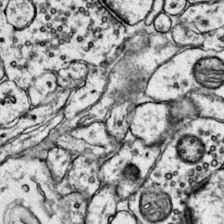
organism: Mouse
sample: Primary visual cortex